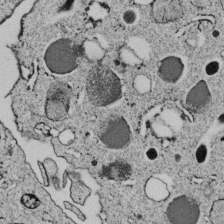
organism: C. elegans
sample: C. elegans embryo early stage